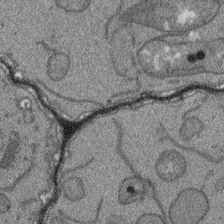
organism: Arabidopsis thaliana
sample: Root tip